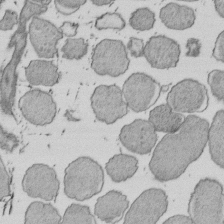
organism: E. coli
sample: Bacterial nucleoid